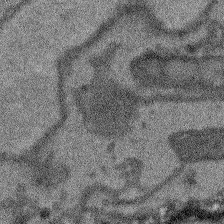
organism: Arabidopsis thaliana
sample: Root tip